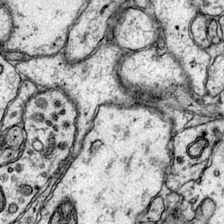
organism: Mouse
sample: Primary visual cortex